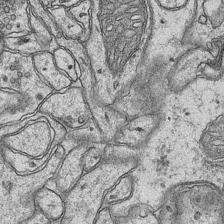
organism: Mouse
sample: CA1 Hippocampus